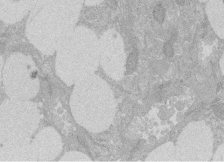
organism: Rat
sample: Salivary granule